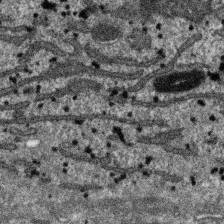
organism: Human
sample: Lung epithelial cells infected with SARS-CoV-2